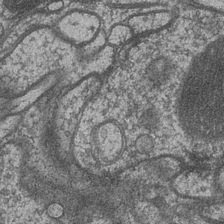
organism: Drosophila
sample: Optic medulla